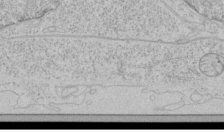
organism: Human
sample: Mitochondria in HCT116 cells